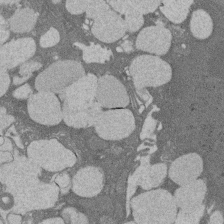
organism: Rat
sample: Salivary granule